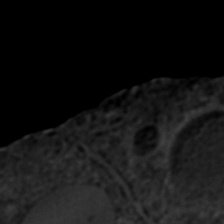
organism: C. elegans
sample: C. elegans embryo